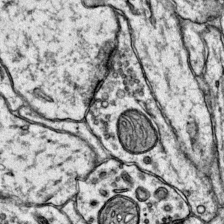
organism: Mouse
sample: Primary visual cortex